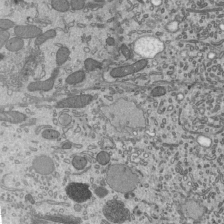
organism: Mouse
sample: Mouse epididymis efferent ductule cilia